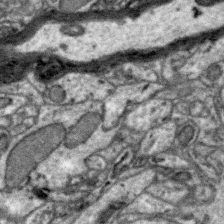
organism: Zebra finch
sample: Brain